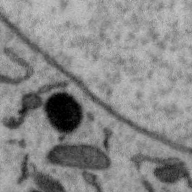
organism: Zebra finch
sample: Brain